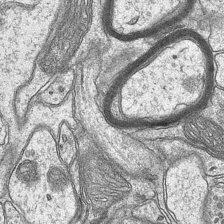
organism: Mouse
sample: CA1 Hippocampus